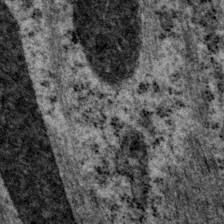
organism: P. pacificus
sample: Pharynx